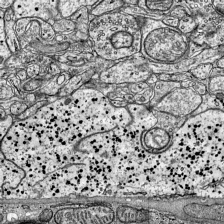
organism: Mouse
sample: Visual Cortex